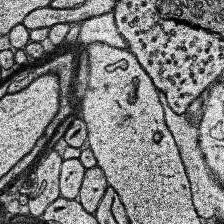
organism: Human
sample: Temporal Lobe